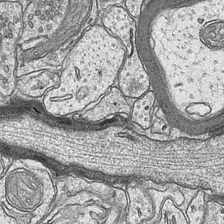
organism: Mouse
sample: CA1 Hippocampus